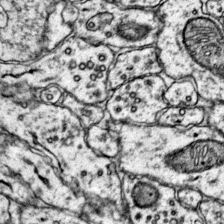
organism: Mouse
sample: Primary visual cortex